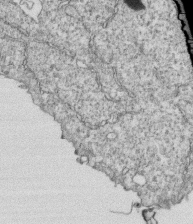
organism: Human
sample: HeLa cell HIV synapse